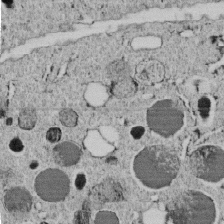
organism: C. elegans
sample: C. elegans embryo early stage